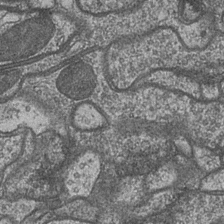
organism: Drosophila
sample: Optic medulla